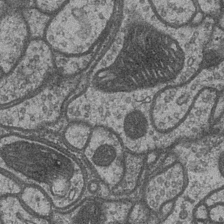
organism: Drosophila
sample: Optic medulla